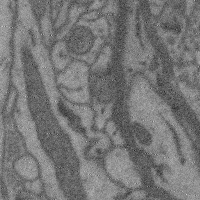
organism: Mouse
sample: Cerebral cortex